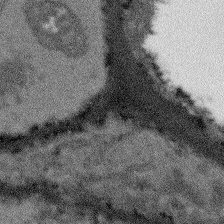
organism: Arabidopsis thaliana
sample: Root tip